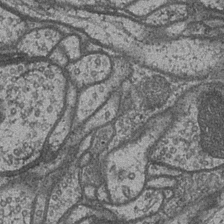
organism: Drosophila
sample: Optic medulla